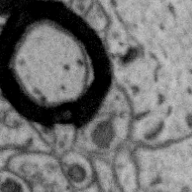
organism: Zebra finch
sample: Brain